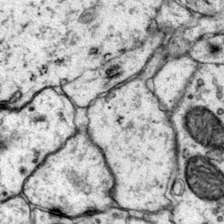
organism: Mouse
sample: Primary visual cortex